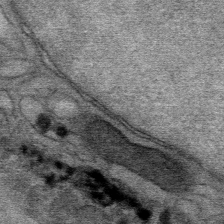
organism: Mouse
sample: Mouse Salivary gland